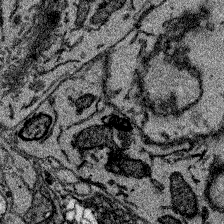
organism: Zebrafish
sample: Larval olfactory bulb